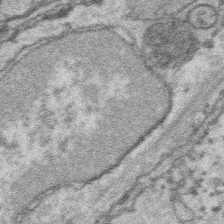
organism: Platynereis dumerilii